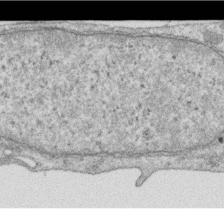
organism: Human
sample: Centriole in RPE cells